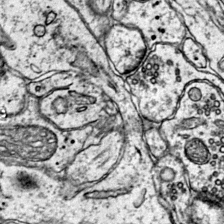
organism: Mouse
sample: Primary visual cortex